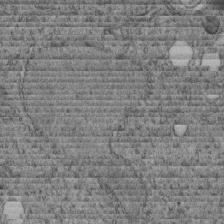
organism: C. elegans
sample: C. elegans embryo early stage